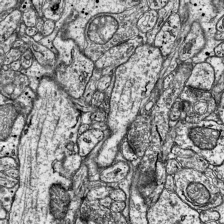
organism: Mouse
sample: Visual Cortex